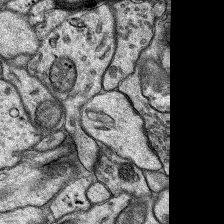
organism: Rat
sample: Hippocampus